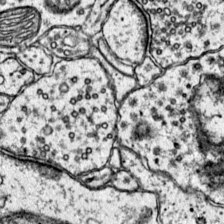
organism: Mouse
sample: Primary visual cortex